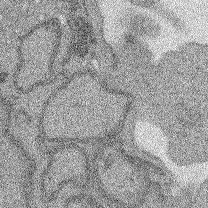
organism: Human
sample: HeLa cells